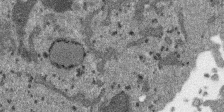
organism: Human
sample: Lung epithelial cells infected with SARS-CoV-2